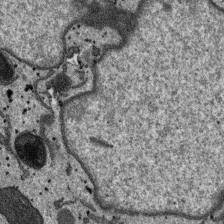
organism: Human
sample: Lung epithelial cells, uninfected (mock) control